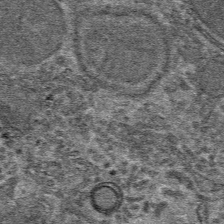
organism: Mouse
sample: Mouse hepatocytes